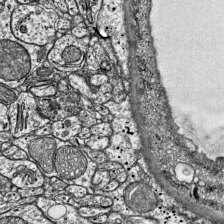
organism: Mouse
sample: Visual Cortex